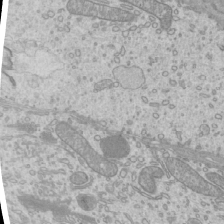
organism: Mouse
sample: Cilia; mouse epididymis